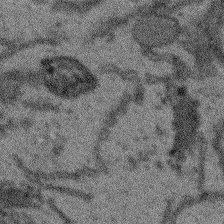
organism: Arabidopsis thaliana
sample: Root tip